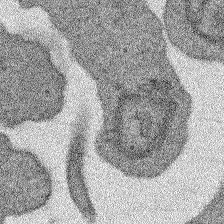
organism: Human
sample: HeLa cells